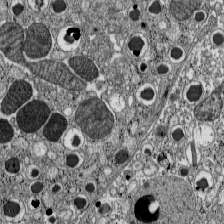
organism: C57BL Mouse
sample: Pancreatic islet